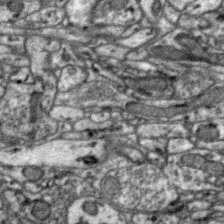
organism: Zebra finch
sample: Brain